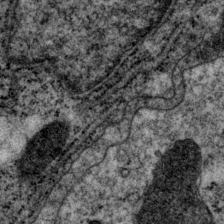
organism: P. pacificus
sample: Pharynx